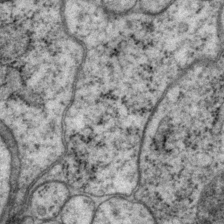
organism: P. pacificus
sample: Pharynx